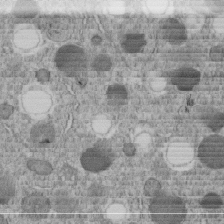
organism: C. elegans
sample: C. elegans embryo early stage